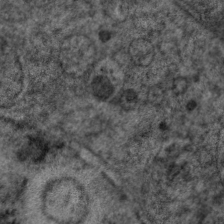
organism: C. elegans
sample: Pharynx